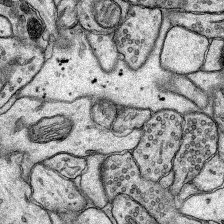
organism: Rat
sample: Hippocampus